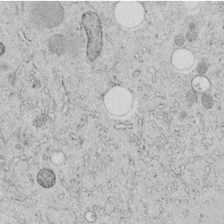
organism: C. elegans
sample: C. elegans embryo early stage